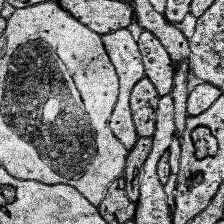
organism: Human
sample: Temporal Lobe